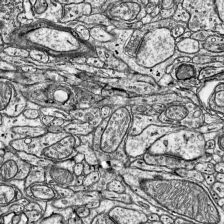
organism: Mouse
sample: Visual Cortex